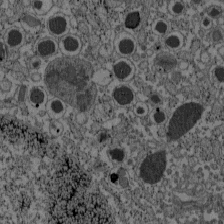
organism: C57BL Mouse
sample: Pancreatic islet